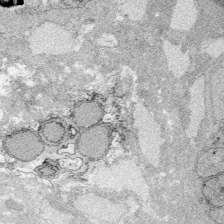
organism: Zebrafish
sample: Whole-Brain